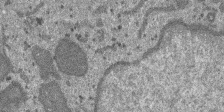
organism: Human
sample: Lung epithelial cells infected with SARS-CoV-2